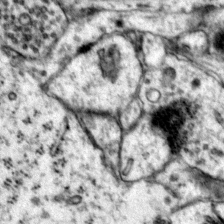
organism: Mouse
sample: Primary visual cortex